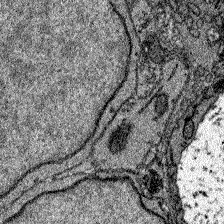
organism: Zebrafish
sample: Larval olfactory bulb